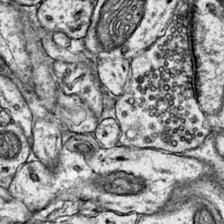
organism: Mouse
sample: Primary visual cortex